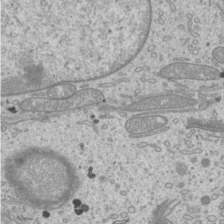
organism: Mouse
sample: Cilia; mouse epididymis